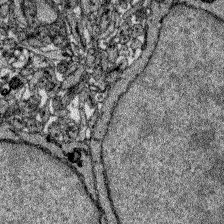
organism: Zebrafish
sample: Larval olfactory bulb